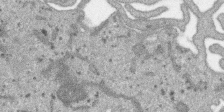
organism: Human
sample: Lung epithelial cells infected with SARS-CoV-2